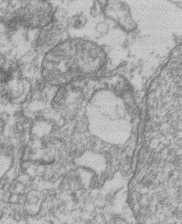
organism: Mouse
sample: T cell stromal cell synapse